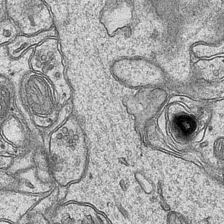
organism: Mouse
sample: CA1 Hippocampus